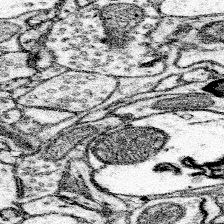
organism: Mouse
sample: Somatosensory cortex neuropil